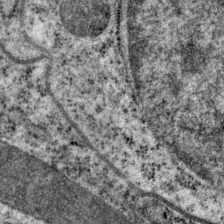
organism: P. pacificus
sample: Pharynx